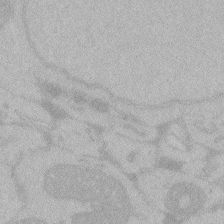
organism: Zebrafish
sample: Macrophage infected with Toxoplasma gondii